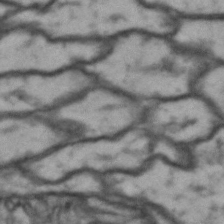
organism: Drosophila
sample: Brain